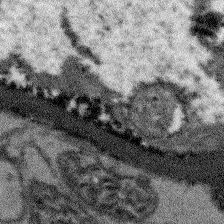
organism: Arabidopsis thaliana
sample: Root tip